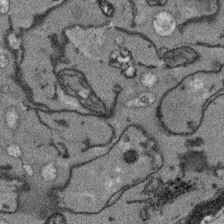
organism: Arabidopsis thaliana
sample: Root tip